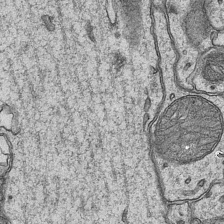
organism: Mouse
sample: CA1 Hippocampus